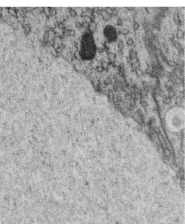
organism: C. elegans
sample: C. elegans oocyte; sperm cells